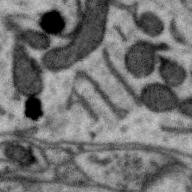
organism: Zebra finch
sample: Brain